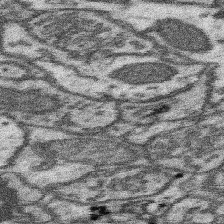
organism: Mouse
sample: Somatosensory cortex neuropil